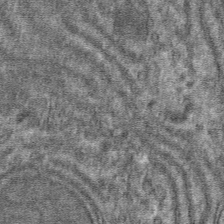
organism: Mouse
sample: Mouse hepatocytes